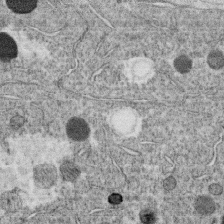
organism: C. elegans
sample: C. elegans oocyte; sperm cells